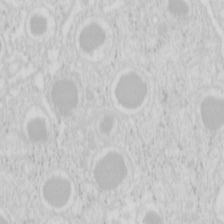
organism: Mouse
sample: Pancreas